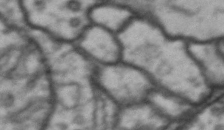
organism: Drosophila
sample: Brain